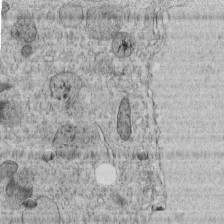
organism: C. elegans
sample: C. elegans embryo early stage